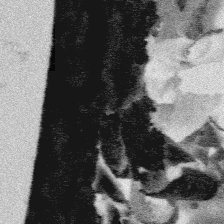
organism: Platynereis dumerilii